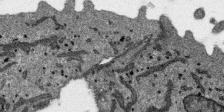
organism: Human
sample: Lung epithelial cells, uninfected (mock) control